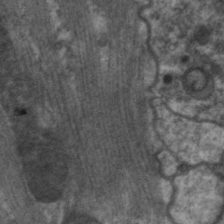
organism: C. elegans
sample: Pharynx